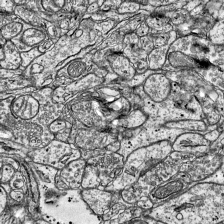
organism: Mouse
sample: Visual Cortex